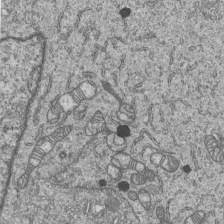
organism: Human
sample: MDA-MB-231 cells